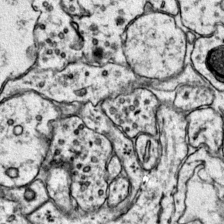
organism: Mouse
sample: Primary visual cortex